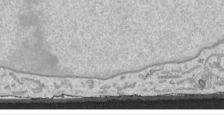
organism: Human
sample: Mitochondria in HCT116 cells